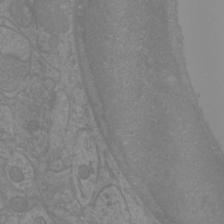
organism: Mouse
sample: Cortical neurons